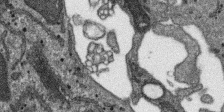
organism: Human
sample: Lung epithelial cells infected with SARS-CoV-2